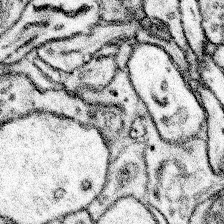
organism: Mouse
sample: Somatosensory cortex neuropil